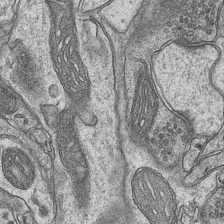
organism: Mouse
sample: CA1 Hippocampus